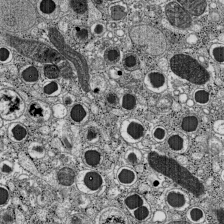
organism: C57BL Mouse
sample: Pancreatic islet